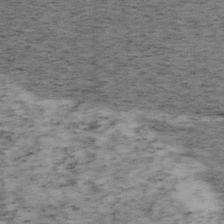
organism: Mouse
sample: OT-I killer T cells with ID8 ovarian cancer cells